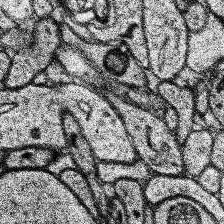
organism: Human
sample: Temporal Lobe